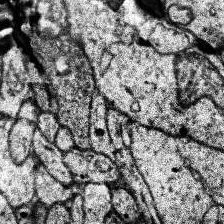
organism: Human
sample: Temporal Lobe